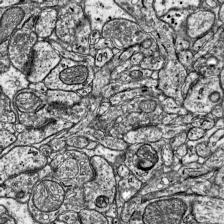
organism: Mouse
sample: Visual Cortex